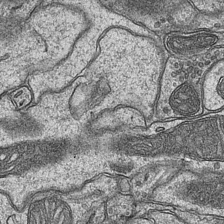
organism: Mouse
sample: CA1 Hippocampus